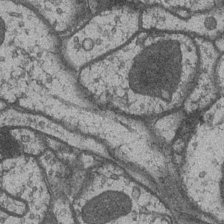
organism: Drosophila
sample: Optic medulla